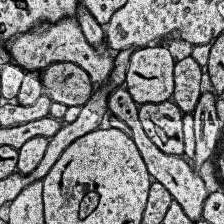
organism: Human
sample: Temporal Lobe